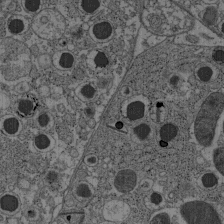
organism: C57BL Mouse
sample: Pancreatic islet